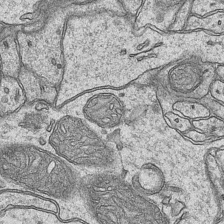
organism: Mouse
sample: CA1 Hippocampus